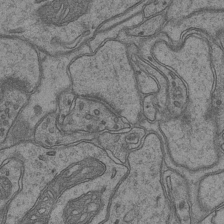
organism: Mouse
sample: CA1 Hippocampus